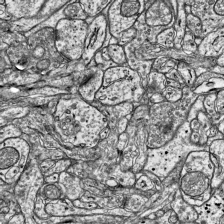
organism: Mouse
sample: Visual Cortex